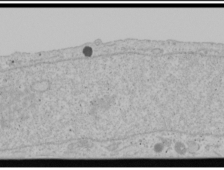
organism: Human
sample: Mitochondria in U2OS cells